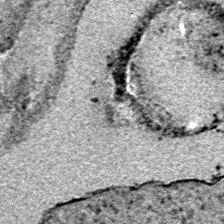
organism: E. coli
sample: E. Coli Bacteria